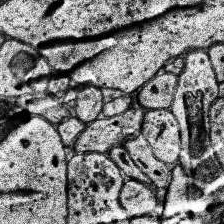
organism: Human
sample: Temporal Lobe